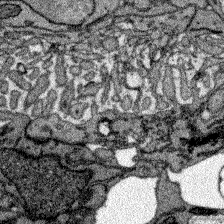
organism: Zebrafish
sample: Larval olfactory bulb